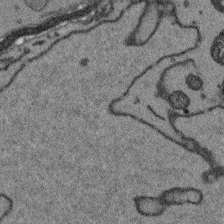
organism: Arabidopsis thaliana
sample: Root tip